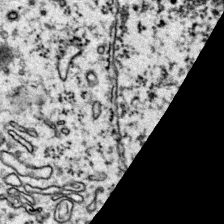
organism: Mouse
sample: Primary visual cortex